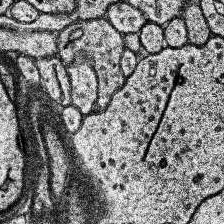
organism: Human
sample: Temporal Lobe